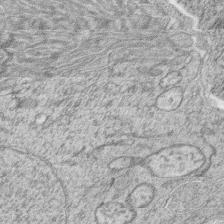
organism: Zebrafish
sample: synaptic ribbons in rod cells and cone cells